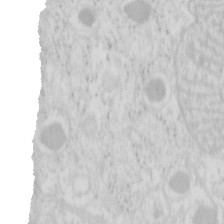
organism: Mouse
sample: Pancreas